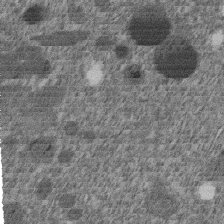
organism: C. elegans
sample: C. elegans embryo early stage